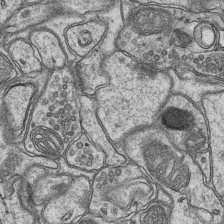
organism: Mouse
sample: CA1 Hippocampus